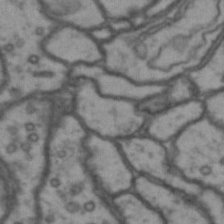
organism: Drosophila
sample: Brain